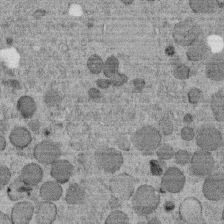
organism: C. elegans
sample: C. elegans embryo early stage